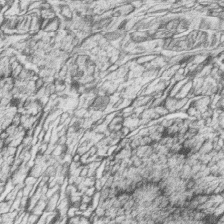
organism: Zebrafish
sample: synaptic ribbons in rod cells and cone cells